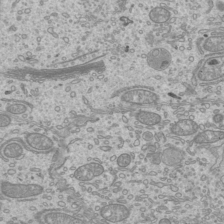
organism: Mouse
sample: Cilia; mouse epididymis